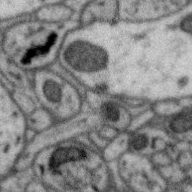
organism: Zebra finch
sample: Brain